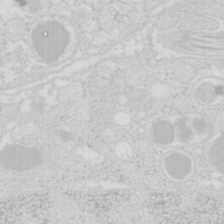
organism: Mouse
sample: Pancreas